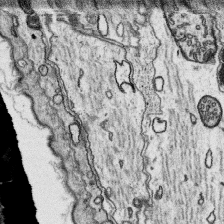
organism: Platynereis dumerilii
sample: Parapodia